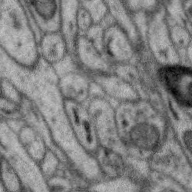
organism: Zebra finch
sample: Brain